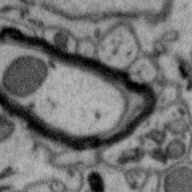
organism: Zebra finch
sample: Brain